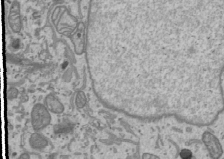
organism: Human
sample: Mitochondria in U2OS cells